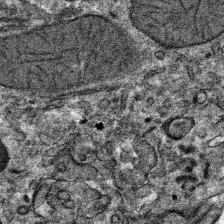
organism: Mouse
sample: Mouse hepatocytes